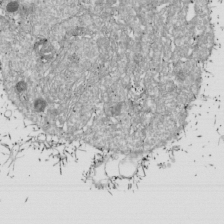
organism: Drosophila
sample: Cell division; meiosis; drosophila spermatocytes